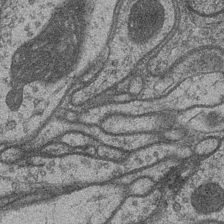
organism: Drosophila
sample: Optic medulla